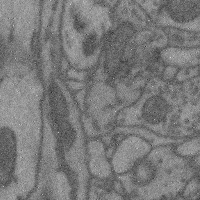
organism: Mouse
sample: Cerebral cortex